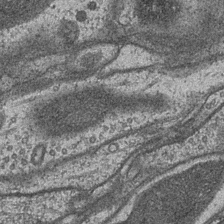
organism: Drosophila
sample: Optic medulla